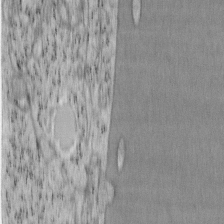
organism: Human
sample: HeLa cells